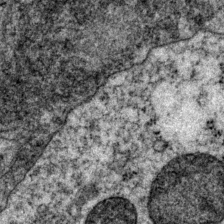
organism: P. pacificus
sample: Pharynx